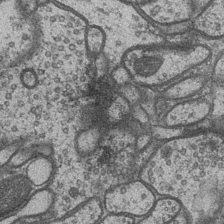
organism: Drosophila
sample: Optic medulla